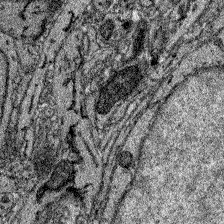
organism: Zebrafish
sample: Larval olfactory bulb